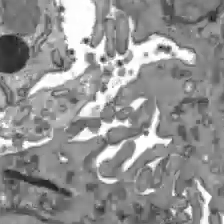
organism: C57BL Mouse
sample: Liver